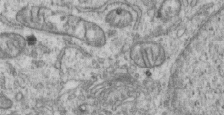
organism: Human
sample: Centriole in RPE cells